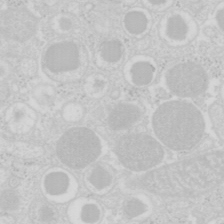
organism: Mouse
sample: Pancreas